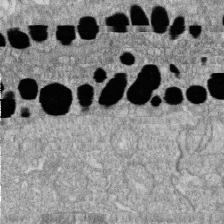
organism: Zebrafish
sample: Cilia; retinal pigment epithelium